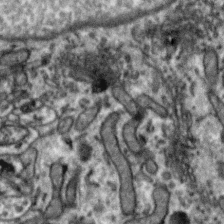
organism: Zebra finch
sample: Brain